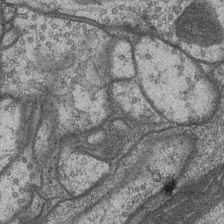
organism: Drosophila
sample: Optic medulla